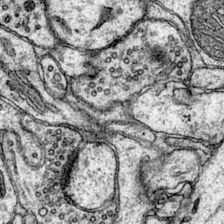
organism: Mouse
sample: Primary visual cortex